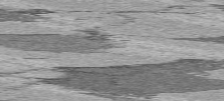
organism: C57BL Mouse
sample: Heart